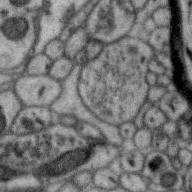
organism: Zebra finch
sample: Brain